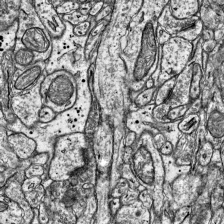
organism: Mouse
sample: Visual Cortex